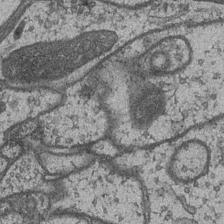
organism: Drosophila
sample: Optic medulla